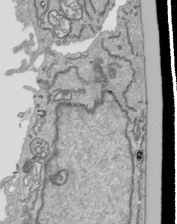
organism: Human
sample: Mitochondria in HCT116 cells